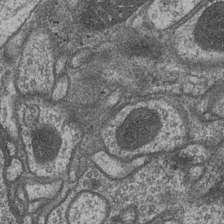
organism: Drosophila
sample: Optic medulla